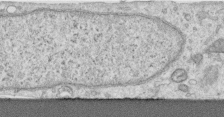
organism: Human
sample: Centriole in RPE cells